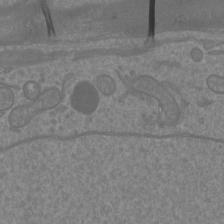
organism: Mouse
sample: Cortical neurons